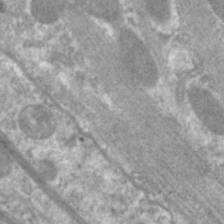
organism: C. elegans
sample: Pharynx